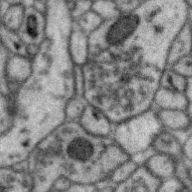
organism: Zebra finch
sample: Brain